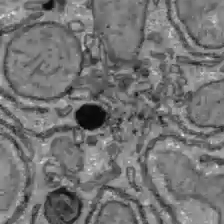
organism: C57BL Mouse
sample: Liver